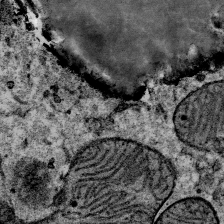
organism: Mouse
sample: Mouse Salivary gland